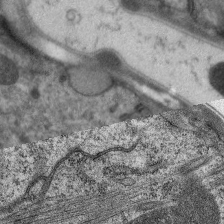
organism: C. elegans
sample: Pharynx